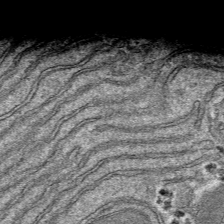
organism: Mouse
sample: Mouse hepatocytes